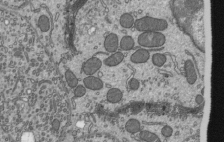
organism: Mouse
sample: Mouse epididymis efferent ductule cilia